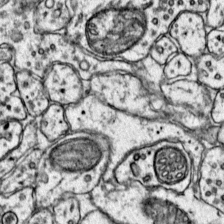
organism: Mouse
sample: Primary visual cortex